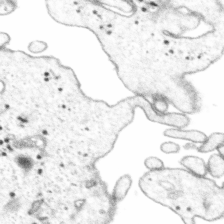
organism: Human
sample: HeLa cells